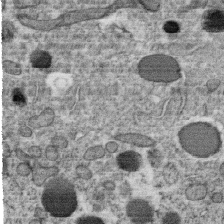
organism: C. elegans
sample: C. elegans oocyte; sperm cells